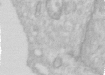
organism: Human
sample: Centriole in RPE cells